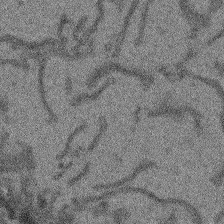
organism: Arabidopsis thaliana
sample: Root tip